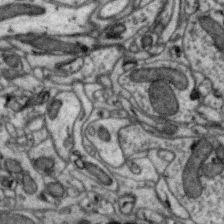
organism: Zebra finch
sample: Brain